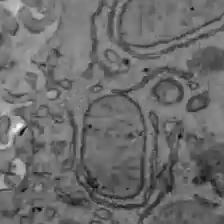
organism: C57BL Mouse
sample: Liver